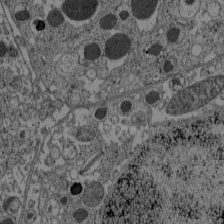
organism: C57BL Mouse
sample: Pancreatic islet